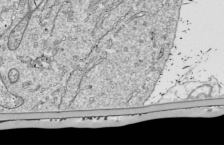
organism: Drosophila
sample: Cell division; meiosis; drosophila spermatocytes